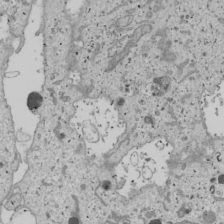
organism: Human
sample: Mitochondria in U2OS cells